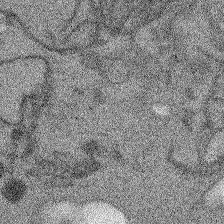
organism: Human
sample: HeLa cells